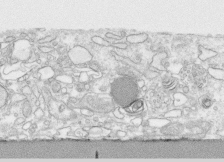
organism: Human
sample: CRL-1474